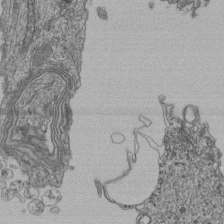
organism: Human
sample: Retinal organoid Rod and Cone cells